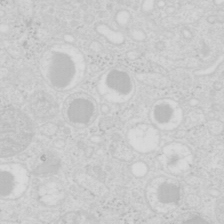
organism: Mouse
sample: Pancreas